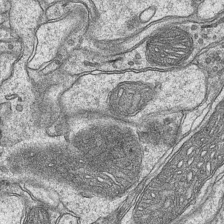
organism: Mouse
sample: CA1 Hippocampus